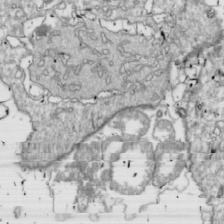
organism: Drosophila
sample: Cell division; meiosis; drosophila spermatocytes